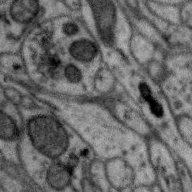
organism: Zebra finch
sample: Brain